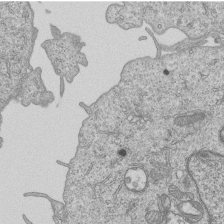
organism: Human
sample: MDA-MB-231 cells